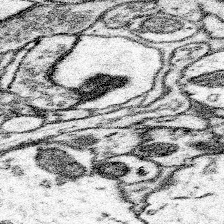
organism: Mouse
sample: Somatosensory cortex neuropil